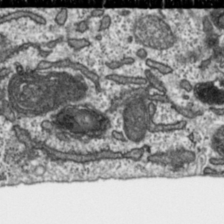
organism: Toxoplasma gondii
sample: Parasites in a vacuole inside a host cell